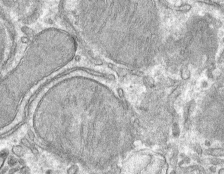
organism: Mouse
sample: Mouse hepatocytes